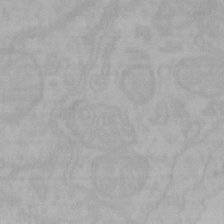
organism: Mouse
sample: Choroid plexus